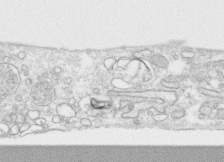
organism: Human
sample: CRL-1474